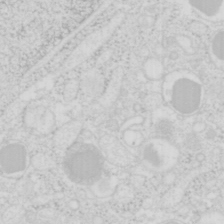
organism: Mouse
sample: Pancreas